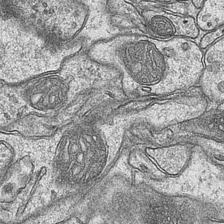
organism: Mouse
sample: CA1 Hippocampus